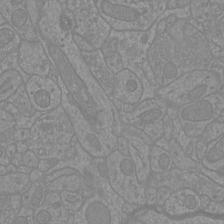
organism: Mouse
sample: Cortical neurons